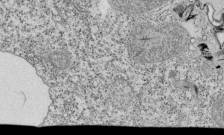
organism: Tetrahymena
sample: Cilia in tetrahymena